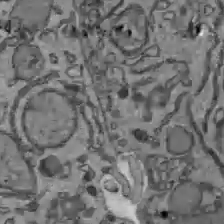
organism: C57BL Mouse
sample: Liver